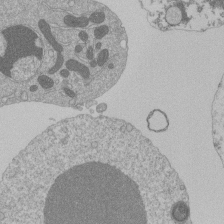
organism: Mouse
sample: Activated Pmel transgenic CD8+ T Cells